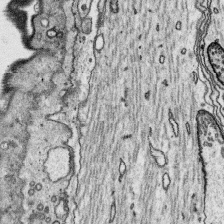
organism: Platynereis dumerilii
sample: Parapodia